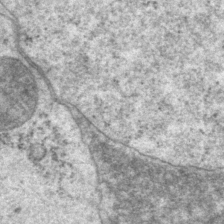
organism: P. pacificus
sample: Pharynx